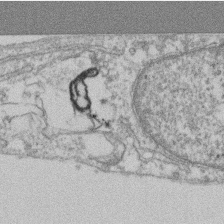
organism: Mouse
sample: T cell stromal cell synapse